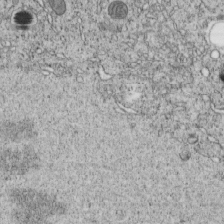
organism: C. elegans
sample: C. elegans embryo early stage